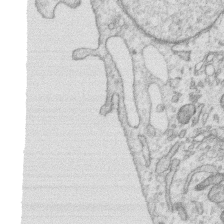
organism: Human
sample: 1205lu cells